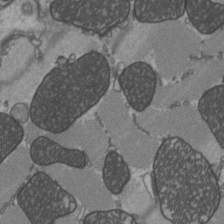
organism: C57BL Mouse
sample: Heart